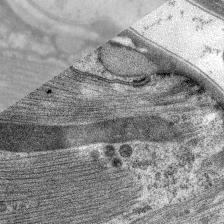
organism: C. elegans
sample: Pharynx